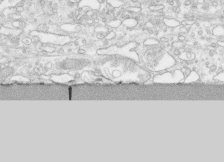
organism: Human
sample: CRL-1474